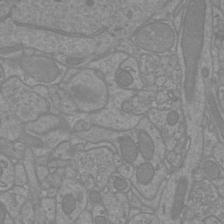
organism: Mouse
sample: Cortical neurons